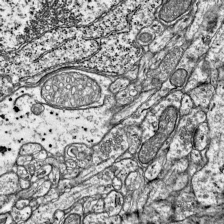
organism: Mouse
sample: Visual Cortex